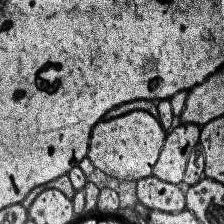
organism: Human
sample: Temporal Lobe